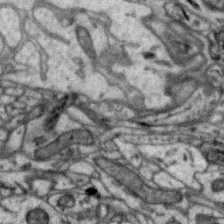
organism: Zebra finch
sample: Brain